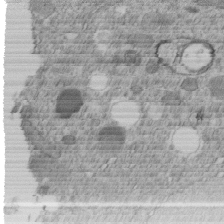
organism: C. elegans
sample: C. elegans embryo early stage